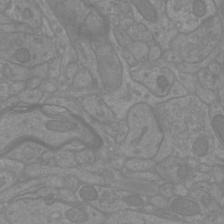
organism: Mouse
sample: Cortical neurons